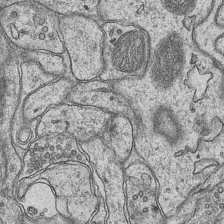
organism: Mouse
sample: CA1 Hippocampus